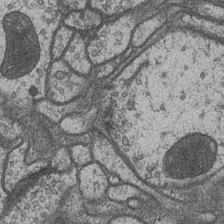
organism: Drosophila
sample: Optic medulla